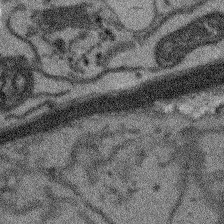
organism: Arabidopsis thaliana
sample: Root tip